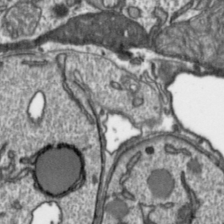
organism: Toxoplasma gondii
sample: Parasites in a vacuole inside a host cell